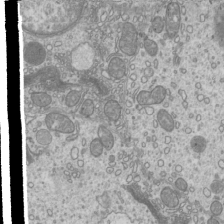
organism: Mouse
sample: Cilia; mouse epididymis